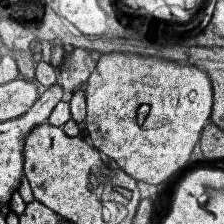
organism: Human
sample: Temporal Lobe